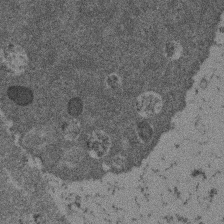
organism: Mouse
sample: Dividing mouse embryo 1 cell stage